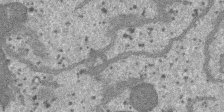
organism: Human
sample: Lung epithelial cells infected with SARS-CoV-2